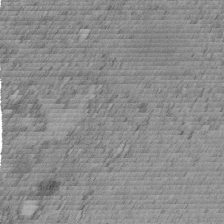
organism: C. elegans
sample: C. elegans embryo early stage